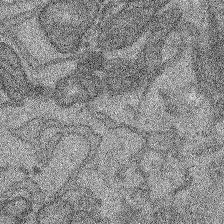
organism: Human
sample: HeLa cells